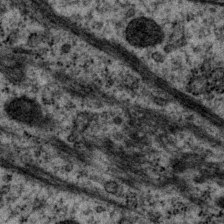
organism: P. pacificus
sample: Pharynx